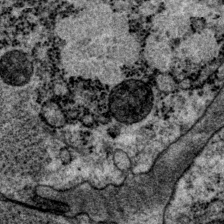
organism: P. pacificus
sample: Pharynx